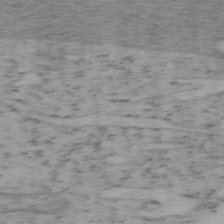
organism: Mouse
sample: OT-I killer T cells with ID8 ovarian cancer cells